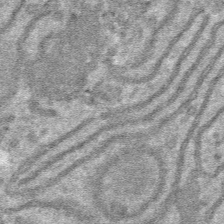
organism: Mouse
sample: Mouse hepatocytes